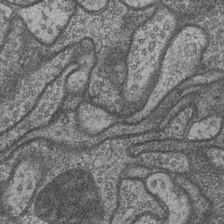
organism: Drosophila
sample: Optic medulla